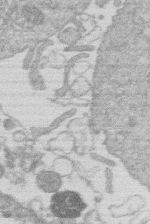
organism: Human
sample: Macrophage cells